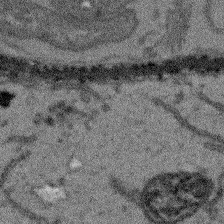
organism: Arabidopsis thaliana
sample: Root tip